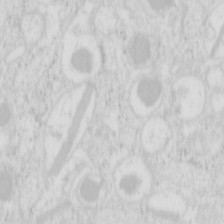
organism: Mouse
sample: Pancreas